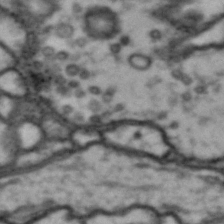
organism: Drosophila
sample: Brain